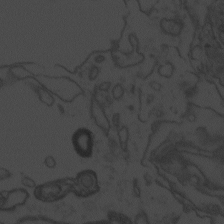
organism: Zebrafish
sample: Macrophage infected with Toxoplasma gondii